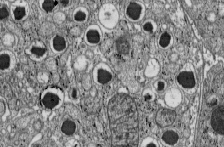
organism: C57BL Mouse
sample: Pancreatic islet